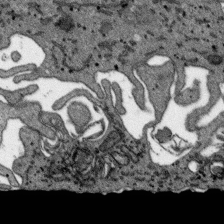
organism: Human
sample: Lung epithelial cells, uninfected (mock) control